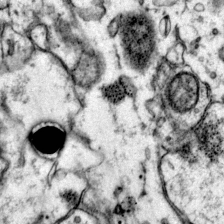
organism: Mouse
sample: Primary visual cortex